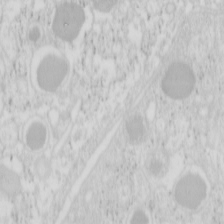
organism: Mouse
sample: Pancreas